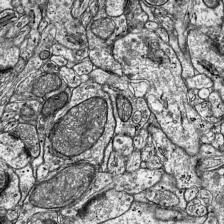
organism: Mouse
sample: Visual Cortex